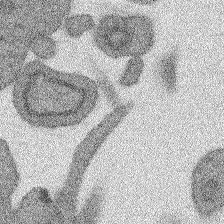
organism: Human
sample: HeLa cells